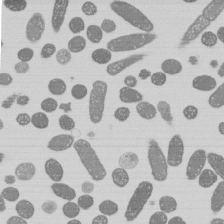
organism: E. coli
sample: Bacterial nucleoid